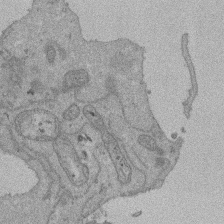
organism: Human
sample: Activated Jurkat CD4+ T cells